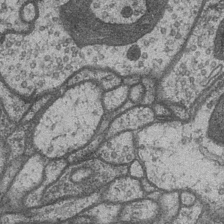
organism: Drosophila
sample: Optic medulla